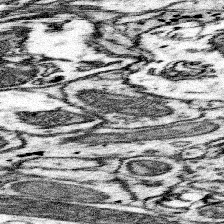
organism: Mouse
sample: Somatosensory cortex neuropil